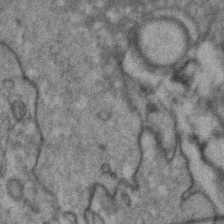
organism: Zebrafish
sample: Zebrafish embryo